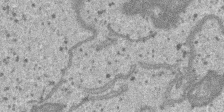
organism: Human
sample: Lung epithelial cells infected with SARS-CoV-2